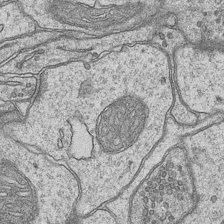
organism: Mouse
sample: CA1 Hippocampus